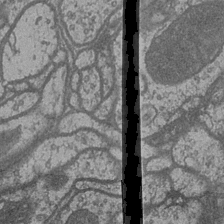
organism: Drosophila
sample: Optic medulla